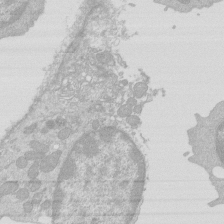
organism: Mouse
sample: Activated Pmel transgenic CD8+ T Cells